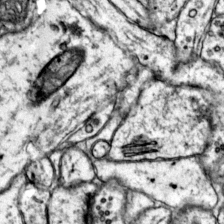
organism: Mouse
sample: Primary visual cortex